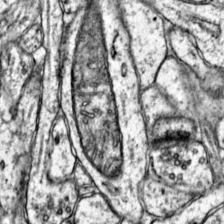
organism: Mouse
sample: Primary visual cortex